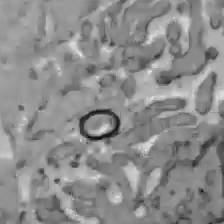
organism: C57BL Mouse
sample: Liver